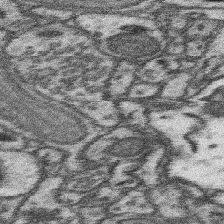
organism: Mouse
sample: Somatosensory cortex neuropil